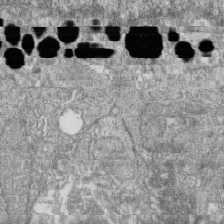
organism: Zebrafish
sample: Cilia; retinal pigment epithelium